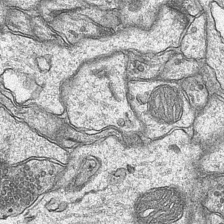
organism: Mouse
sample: CA1 Hippocampus